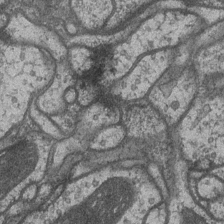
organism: Drosophila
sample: Optic medulla